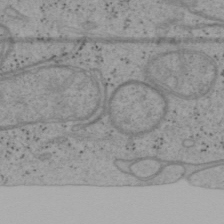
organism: Human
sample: HeLa cells